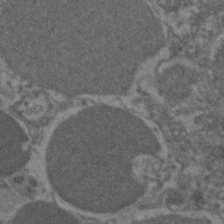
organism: Zebrafish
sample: Zebrafish embryo